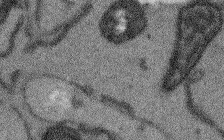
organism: Arabidopsis thaliana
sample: Root tip